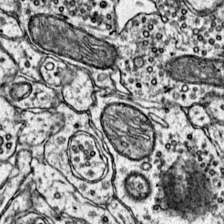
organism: Mouse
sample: Primary visual cortex